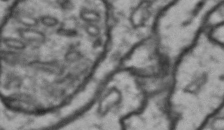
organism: Drosophila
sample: Brain